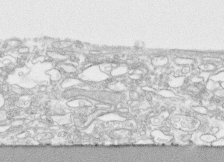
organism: Human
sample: CRL-1474